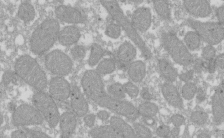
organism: Xenopus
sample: Cilia; centrioles in frog embryo cells